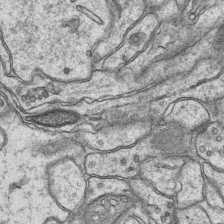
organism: Mouse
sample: CA1 Hippocampus